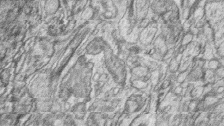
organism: Zebrafish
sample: synaptic ribbons in rod cells and cone cells